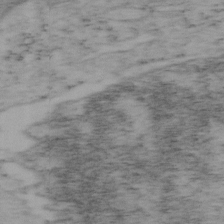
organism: Mouse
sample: OT-I killer T cells with ID8 ovarian cancer cells